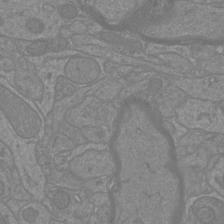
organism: Mouse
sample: Cortical neurons